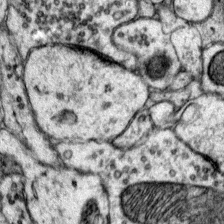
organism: Mouse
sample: Primary visual cortex